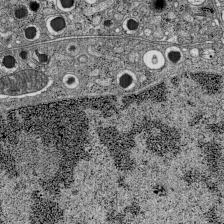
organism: C57BL Mouse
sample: Pancreatic islet